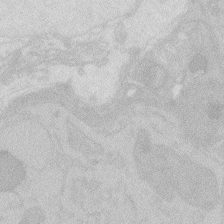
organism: Zebrafish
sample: Macrophage